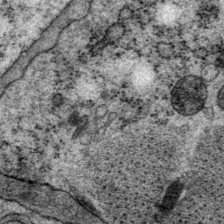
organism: P. pacificus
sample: Pharynx